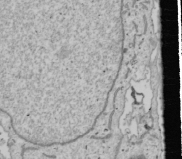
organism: Human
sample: Mitochondria in U2OS cells